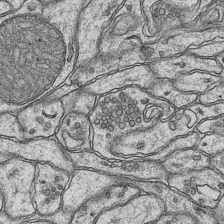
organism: Mouse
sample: CA1 Hippocampus